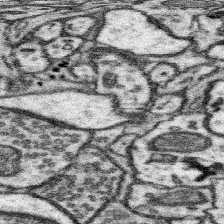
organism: Mouse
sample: Somatosensory cortex neuropil